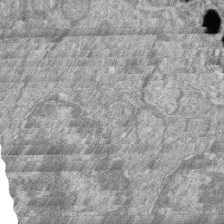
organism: Zebrafish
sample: Cilia; retinal pigment epithelium